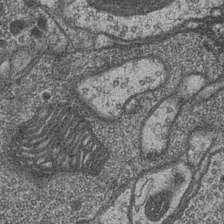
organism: Drosophila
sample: Optic medulla